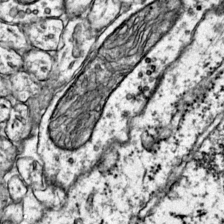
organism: Mouse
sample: Primary visual cortex